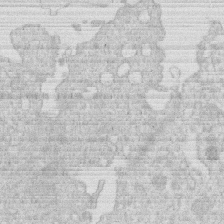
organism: Human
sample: Macrophage cells